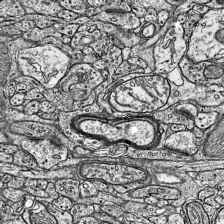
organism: Mouse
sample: Visual Cortex